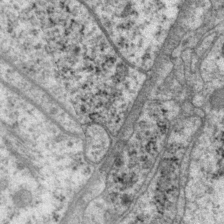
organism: P. pacificus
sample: Pharynx